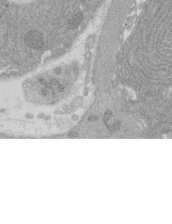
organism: Rat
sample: Salivary granule